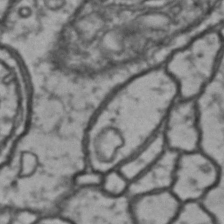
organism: Drosophila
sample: Brain